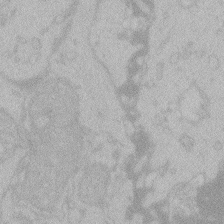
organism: Zebrafish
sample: Macrophage infected with Toxoplasma gondii